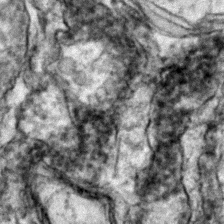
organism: Zebrafish